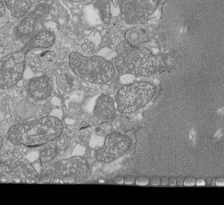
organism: Tetrahymena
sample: Cilia in tetrahymena